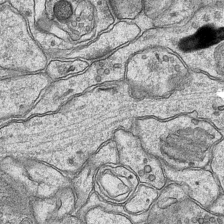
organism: Mouse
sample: CA1 Hippocampus